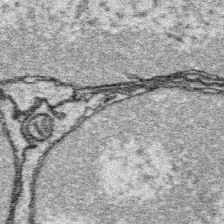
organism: Platynereis dumerilii